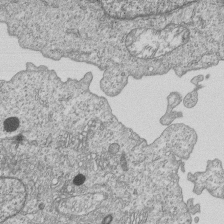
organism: Human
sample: MDA-MB-231 cells